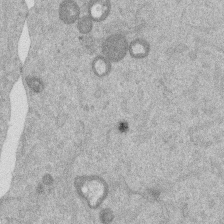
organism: Mouse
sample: Dividing mouse embryo 1 cell stage